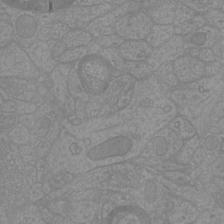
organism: Mouse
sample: Cortical neurons